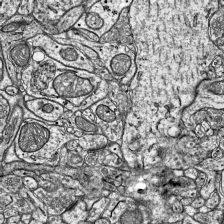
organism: Mouse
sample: Visual Cortex